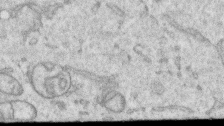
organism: Human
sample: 1205lu cells